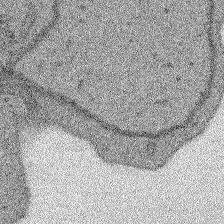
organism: Human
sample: HeLa cells